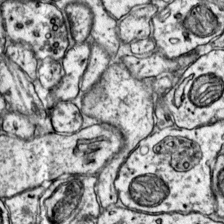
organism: Mouse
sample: Primary visual cortex